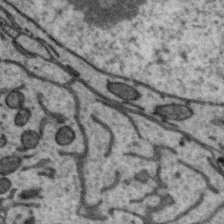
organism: Zebra finch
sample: Brain